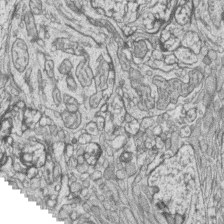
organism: Zebrafish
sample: synaptic ribbons in rod cells and cone cells